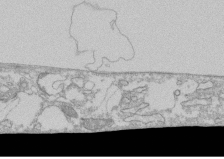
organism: Human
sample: CRL-1474